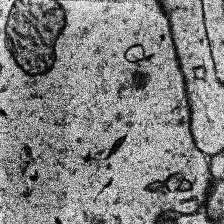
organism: Human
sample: Temporal Lobe